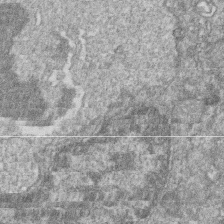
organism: Zebrafish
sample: Cilia; retinal pigment epithelium